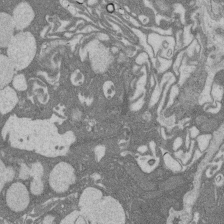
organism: Rat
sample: Salivary granule